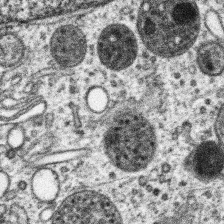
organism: Human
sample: HeLa cells